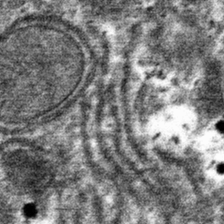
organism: Mouse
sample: Mouse hepatocytes